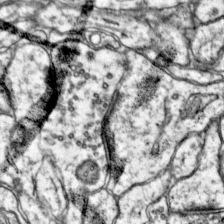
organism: Mouse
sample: Primary visual cortex